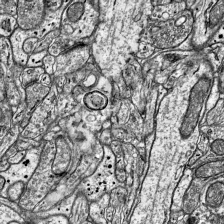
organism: Mouse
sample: Visual Cortex